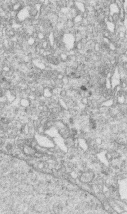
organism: Human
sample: HeLa cell HIV synapse